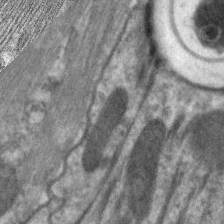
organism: C. elegans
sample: Pharynx